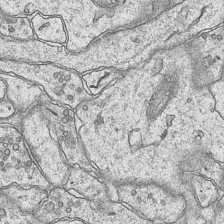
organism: Mouse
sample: CA1 Hippocampus